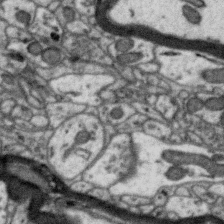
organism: Zebra finch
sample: Brain